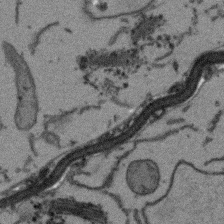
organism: Arabidopsis thaliana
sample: Root tip